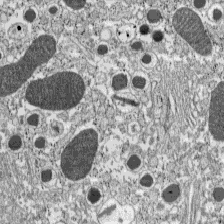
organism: C57BL Mouse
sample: Pancreatic islet